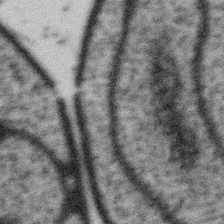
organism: Gemmata obscuriglobus